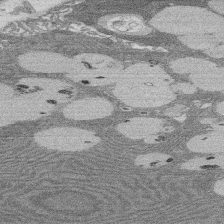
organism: Rat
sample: Salivary granule